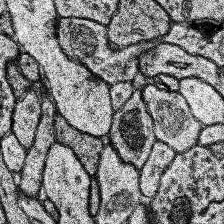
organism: Human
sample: Temporal Lobe